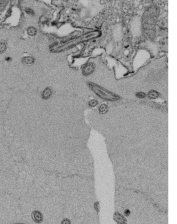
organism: Tetrahymena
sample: Cilia in tetrahymena